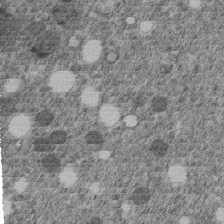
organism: C. elegans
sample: C. elegans embryo early stage